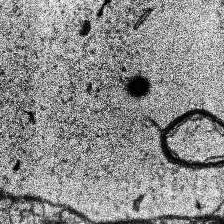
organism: Human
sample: Temporal Lobe